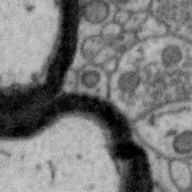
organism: Zebra finch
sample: Brain